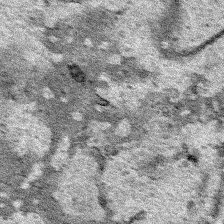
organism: Human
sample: Mitochondria in HCT116 cells